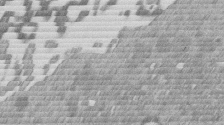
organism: Mouse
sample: Dividing mouse embryo 1 cell stage